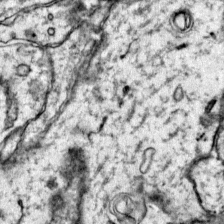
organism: Mouse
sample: Primary visual cortex